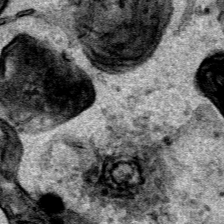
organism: Human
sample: Mitochondria in HCT116 cells